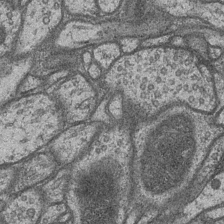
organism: Drosophila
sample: Optic medulla